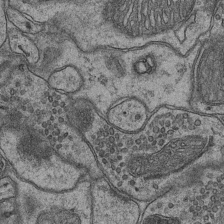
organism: Mouse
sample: CA1 Hippocampus